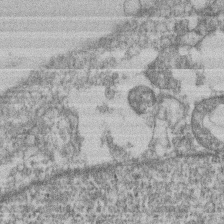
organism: Mouse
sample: T cell stromal cell synapse